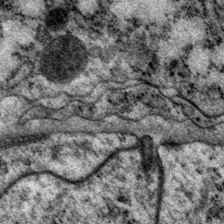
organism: P. pacificus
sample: Pharynx